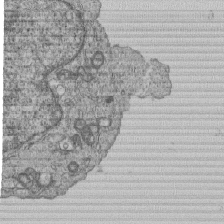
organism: Human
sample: MDA-MB-231 cells